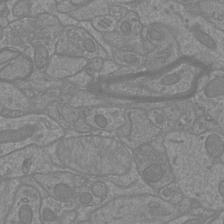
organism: Mouse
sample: Cortical neurons